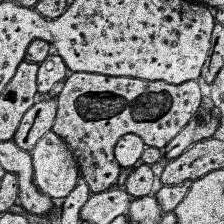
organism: Human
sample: Temporal Lobe